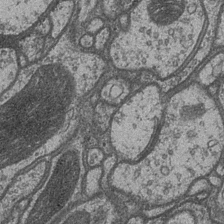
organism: Drosophila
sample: Optic medulla